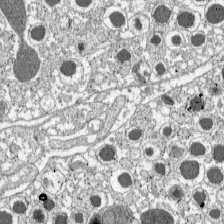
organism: C57BL Mouse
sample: Pancreatic islet